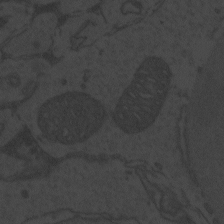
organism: Zebrafish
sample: Macrophage infected with Toxoplasma gondii